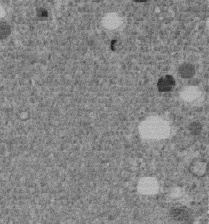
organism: C. elegans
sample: C. elegans embryo early stage